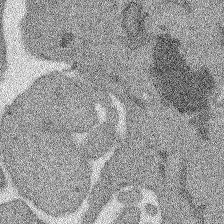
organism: Human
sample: HeLa cells